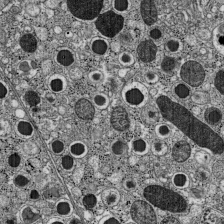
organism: C57BL Mouse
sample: Pancreatic islet